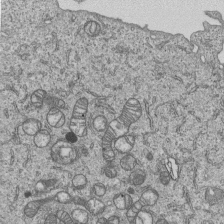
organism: Human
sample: MDA-MB-231 cells